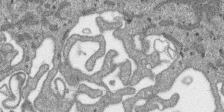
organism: Human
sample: Lung epithelial cells infected with SARS-CoV-2